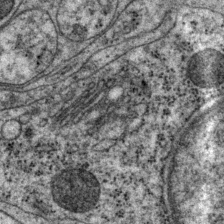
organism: P. pacificus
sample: Pharynx